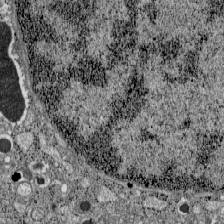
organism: C57BL Mouse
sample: Pancreatic islet